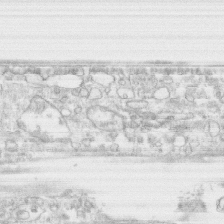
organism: Human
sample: CRL-1474